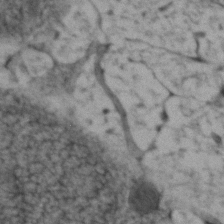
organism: Zebrafish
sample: Zebrafish embryo